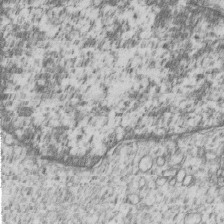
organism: Human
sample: MDA-MB-231 cells